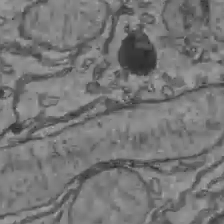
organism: C57BL Mouse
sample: Liver